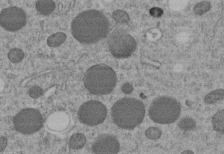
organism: C. elegans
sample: C. elegans embryo early stage